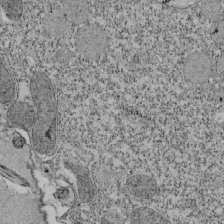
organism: Tetrahymena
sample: Cilia in tetrahymena